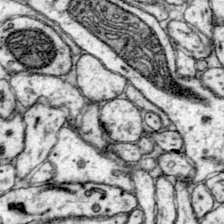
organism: Mouse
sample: Primary visual cortex